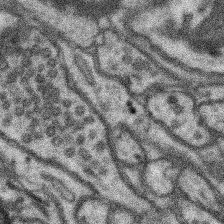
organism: Mouse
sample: Somatosensory cortex neuropil